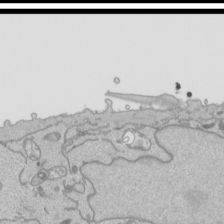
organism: Human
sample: Mitochondria in HCT116 cells